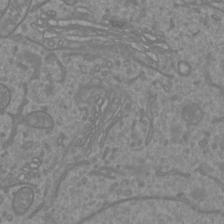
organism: Mouse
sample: Cortical neurons